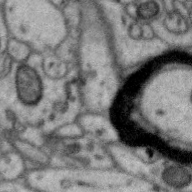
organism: Zebra finch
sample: Brain